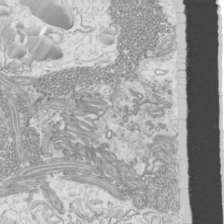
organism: Mouse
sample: Cilia; mouse epididymis